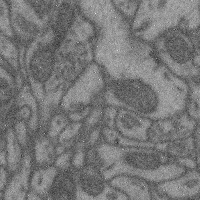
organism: Mouse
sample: Cerebral cortex